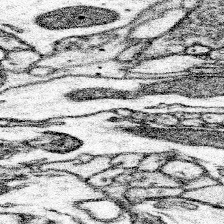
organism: Mouse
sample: Somatosensory cortex neuropil